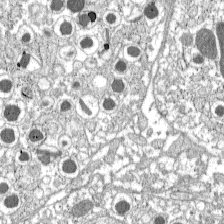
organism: C57BL Mouse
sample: Pancreatic islet